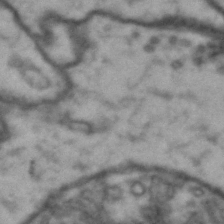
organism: Drosophila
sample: Brain